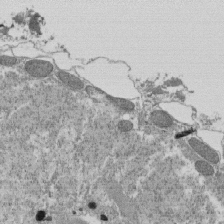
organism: Tetrahymena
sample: Cilia in tetrahymena